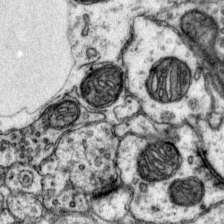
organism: Mouse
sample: Primary visual cortex